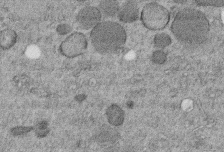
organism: C. elegans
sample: C. elegans embryo early stage